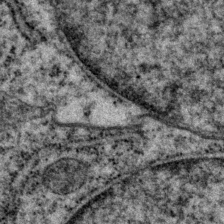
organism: P. pacificus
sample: Pharynx